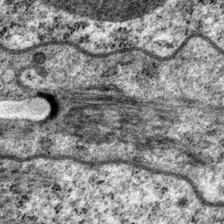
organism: P. pacificus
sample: Pharynx